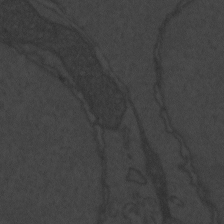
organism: Zebrafish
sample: Macrophage infected with Toxoplasma gondii